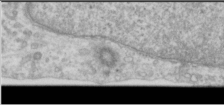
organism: Human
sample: Cilia; basal body in RPE cells